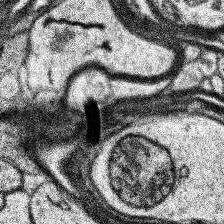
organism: Human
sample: Temporal Lobe